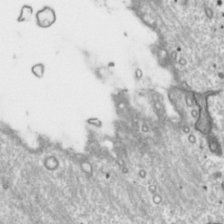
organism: Toxoplasma gondii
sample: Parasites in a vacuole inside a host cell